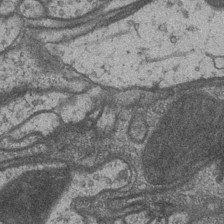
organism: Drosophila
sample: Optic medulla